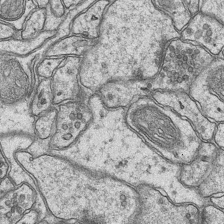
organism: Mouse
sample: CA1 Hippocampus